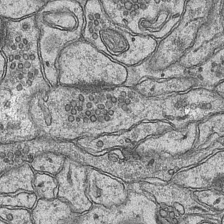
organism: Mouse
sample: CA1 Hippocampus